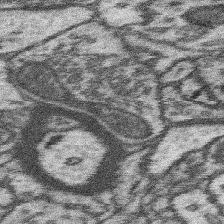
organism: Mouse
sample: Somatosensory cortex neuropil